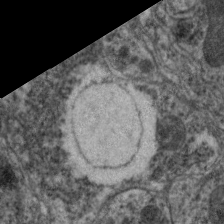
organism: C. elegans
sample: Pharynx